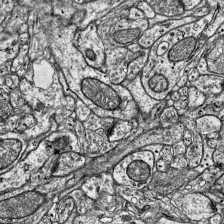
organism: Mouse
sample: Visual Cortex